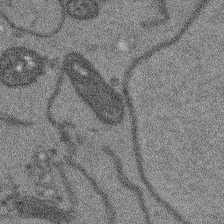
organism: Arabidopsis thaliana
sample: Root tip